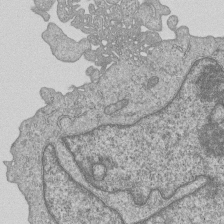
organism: Human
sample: MDA-MB-231 cells